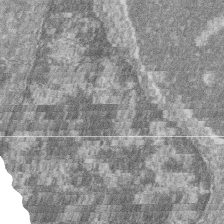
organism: Zebrafish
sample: Cilia; retinal pigment epithelium